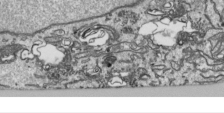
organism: Human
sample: Mitochondria in HCT116 cells